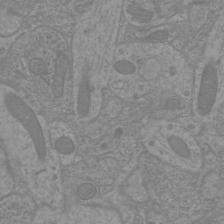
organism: Mouse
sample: Cortical neurons